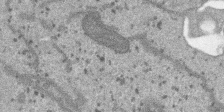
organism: Human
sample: Lung epithelial cells infected with SARS-CoV-2